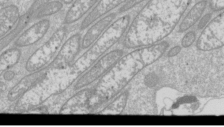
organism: Drosophila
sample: Cell division; meiosis; drosophila spermatocytes